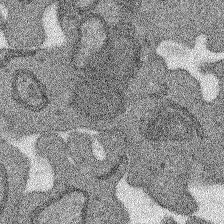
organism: Human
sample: HeLa cells